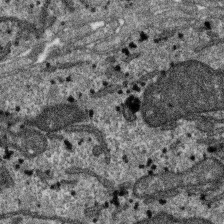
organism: Human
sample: Lung epithelial cells infected with SARS-CoV-2